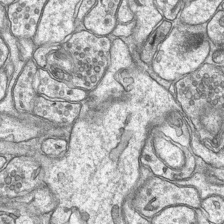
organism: Mouse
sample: CA1 Hippocampus